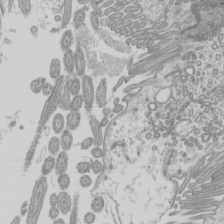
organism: Mouse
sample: Cilia; mouse epididymis